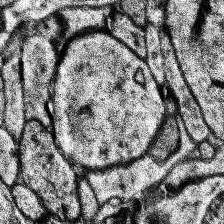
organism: Human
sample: Temporal Lobe